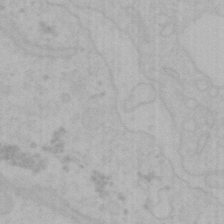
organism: Mouse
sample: Choroid plexus